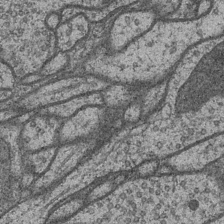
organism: Drosophila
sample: Optic medulla